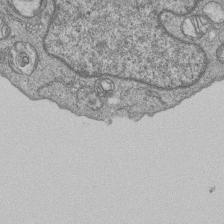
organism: Human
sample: MDA-MB-231 cells